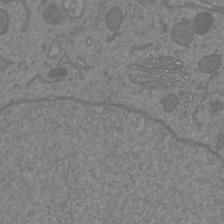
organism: Mouse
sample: Cortical neurons